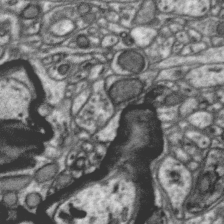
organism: Zebra finch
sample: Brain